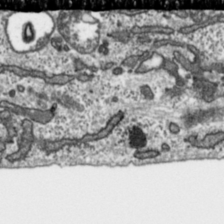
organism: Toxoplasma gondii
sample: Parasites in a vacuole inside a host cell